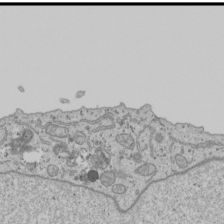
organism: Human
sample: Mitochondria in U2OS cells